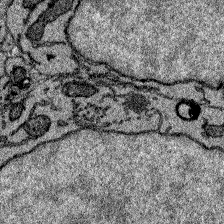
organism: Zebrafish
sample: Larval olfactory bulb